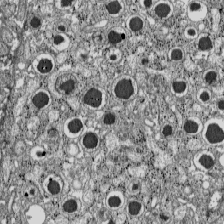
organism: C57BL Mouse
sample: Pancreatic islet